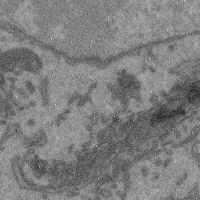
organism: Mouse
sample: Cerebral cortex